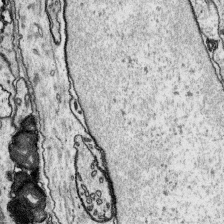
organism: Platynereis dumerilii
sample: Parapodia